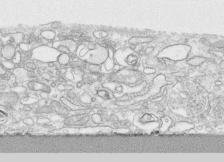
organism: Human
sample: CRL-1474